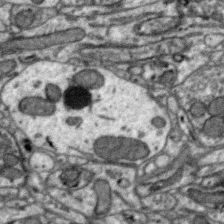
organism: Zebra finch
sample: Brain